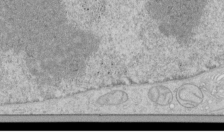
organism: Human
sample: Mitochondria in HCT116 cells